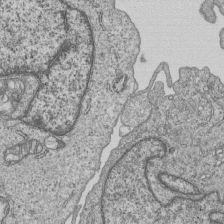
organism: Human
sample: MDA-MB-231 cells